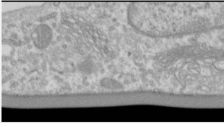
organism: Human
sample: Cilia; basal body in RPE cells